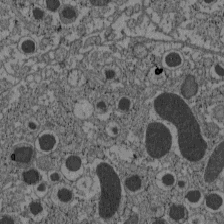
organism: C57BL Mouse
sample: Pancreatic islet